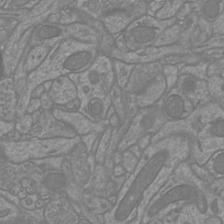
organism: Mouse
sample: Cortical neurons